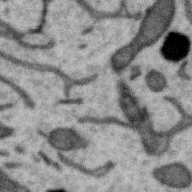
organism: Zebra finch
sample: Brain